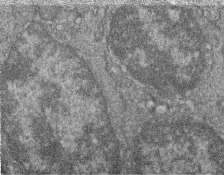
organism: Zebrafish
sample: Cilia; retinal pigment epithelium